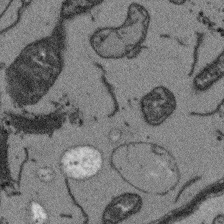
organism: Arabidopsis thaliana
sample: Root tip